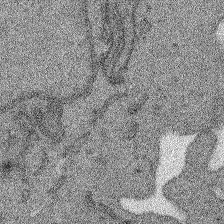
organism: Human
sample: HeLa cells